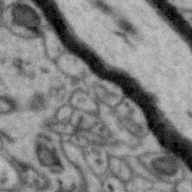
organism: Zebra finch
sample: Brain